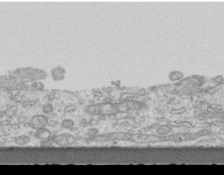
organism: Mouse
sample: Centriole in ependymal cells